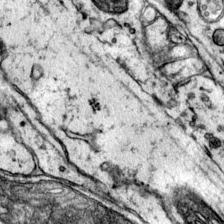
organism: Mouse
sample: Primary visual cortex